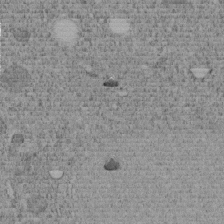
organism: C. elegans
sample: C. elegans embryo early stage